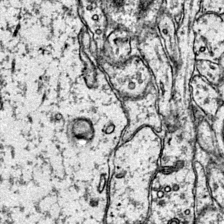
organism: Mouse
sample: Primary visual cortex